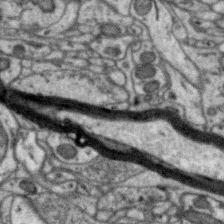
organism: Zebra finch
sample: Brain